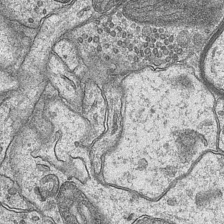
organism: Mouse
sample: CA1 Hippocampus